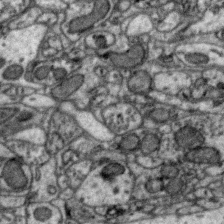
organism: Zebra finch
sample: Brain